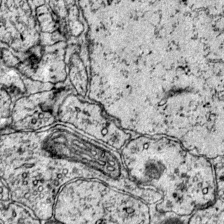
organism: Mouse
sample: Primary visual cortex